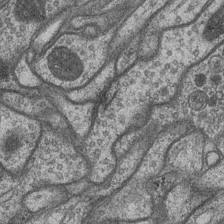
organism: Drosophila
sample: Optic medulla